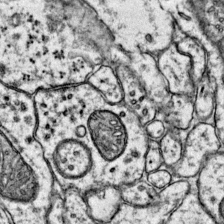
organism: Mouse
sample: Primary visual cortex